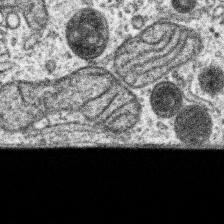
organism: Human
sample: HeLa cells